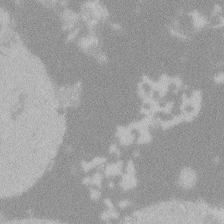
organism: Zebrafish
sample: Macrophage infected with Toxoplasma gondii